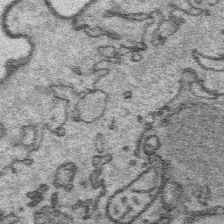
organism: Platynereis dumerilii